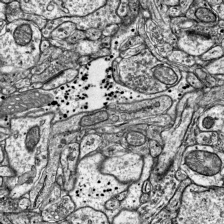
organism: Mouse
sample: Visual Cortex